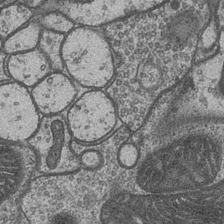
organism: Drosophila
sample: Optic medulla